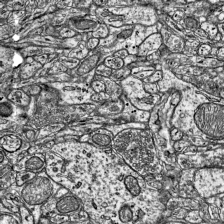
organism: Mouse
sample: Visual Cortex